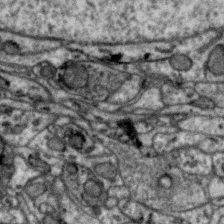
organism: Zebra finch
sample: Brain